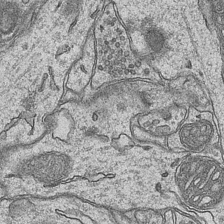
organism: Mouse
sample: CA1 Hippocampus